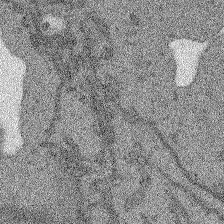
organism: Human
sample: HeLa cells